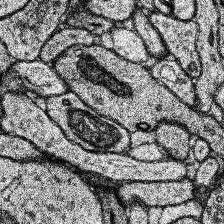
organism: Human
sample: Temporal Lobe